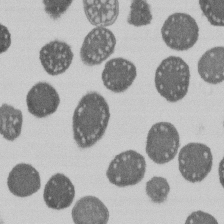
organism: E. coli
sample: Bacterial nucleoid